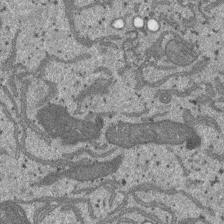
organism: Human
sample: Lung epithelial cells infected with SARS-CoV-2